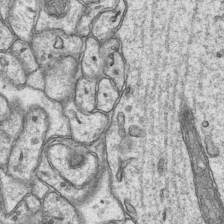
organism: Mouse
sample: CA1 Hippocampus